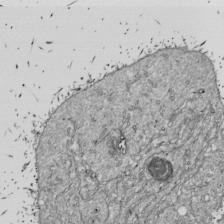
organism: Drosophila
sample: Cell division; meiosis; drosophila spermatocytes